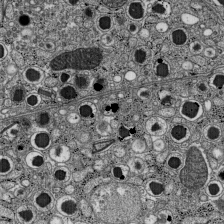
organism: C57BL Mouse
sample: Pancreatic islet